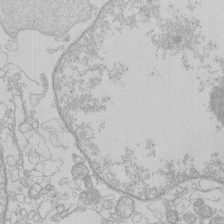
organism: Human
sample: Macrophage cells